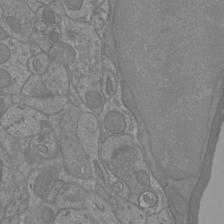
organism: Mouse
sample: Cortical neurons